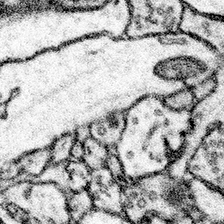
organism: Mouse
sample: Somatosensory cortex neuropil